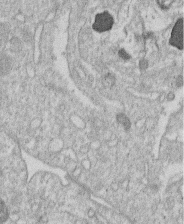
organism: Human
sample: Macrophage cells